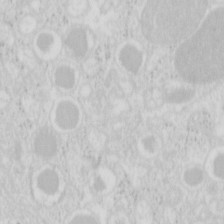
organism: Mouse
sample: Pancreas